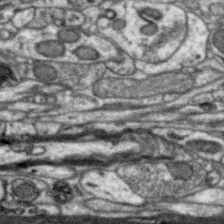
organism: Zebra finch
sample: Brain